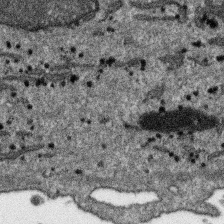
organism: Human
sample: Lung epithelial cells infected with SARS-CoV-2